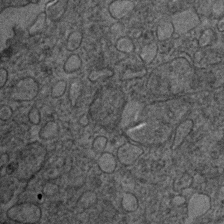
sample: Trachea